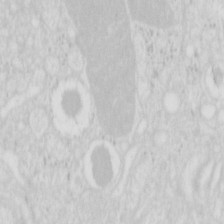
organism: Mouse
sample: Pancreas